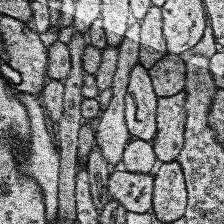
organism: Human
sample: Temporal Lobe